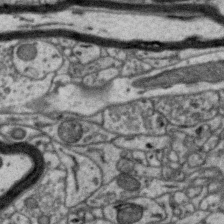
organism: Zebra finch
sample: Brain